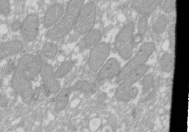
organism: Xenopus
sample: Cilia; centrioles in frog embryo cells